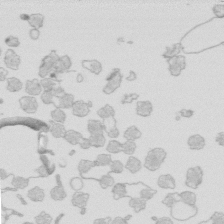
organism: Mouse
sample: Multiciliated cells